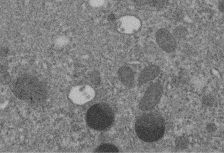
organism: C. elegans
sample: C. elegans embryo early stage